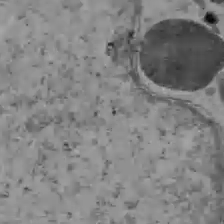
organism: C57BL Mouse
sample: Liver